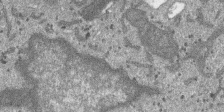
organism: Human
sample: Lung epithelial cells infected with SARS-CoV-2